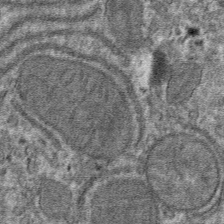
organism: Mouse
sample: Mouse hepatocytes